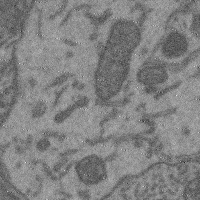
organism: Mouse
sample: Cerebral cortex